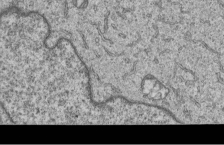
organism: Human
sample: MDA-MB-231 cells